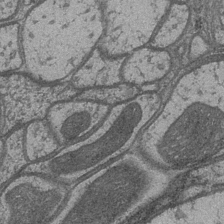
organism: Drosophila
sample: Optic medulla